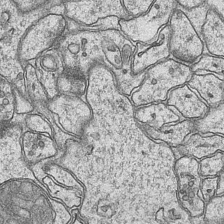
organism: Mouse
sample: CA1 Hippocampus